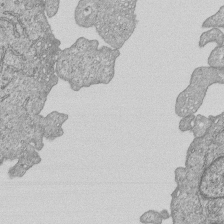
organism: Human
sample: MDA-MB-231 cells